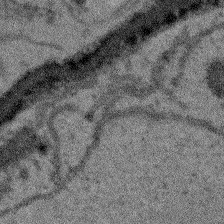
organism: Arabidopsis thaliana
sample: Root tip